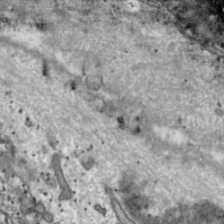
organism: Toxoplasma gondii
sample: Parasites in a vacuole inside a host cell